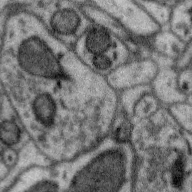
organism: Zebra finch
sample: Brain